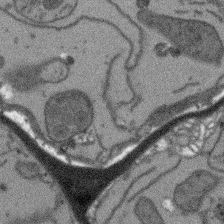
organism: Arabidopsis thaliana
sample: Root tip